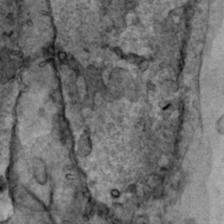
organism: Human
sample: Mitochondria in HCT116 cells